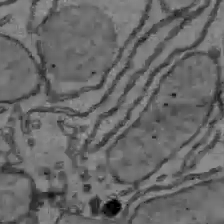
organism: C57BL Mouse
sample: Liver